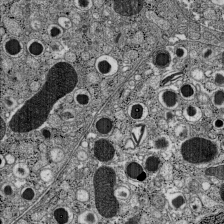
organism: C57BL Mouse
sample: Pancreatic islet